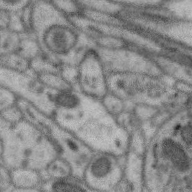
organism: Zebra finch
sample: Brain